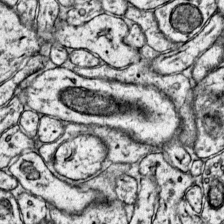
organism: Mouse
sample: Primary visual cortex